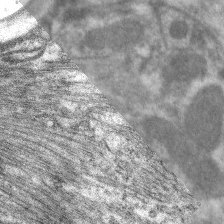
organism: C. elegans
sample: Pharynx